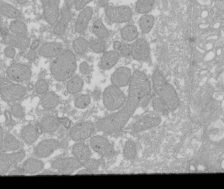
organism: Xenopus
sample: Cilia; centrioles in frog embryo cells